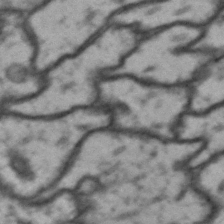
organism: Drosophila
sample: Brain